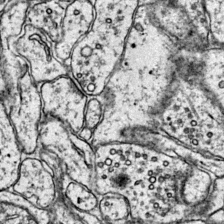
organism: Mouse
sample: Primary visual cortex